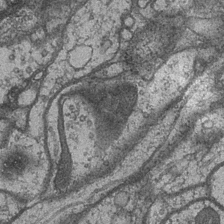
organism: Drosophila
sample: Optic medulla